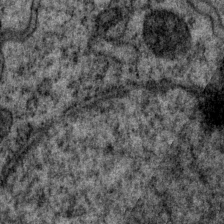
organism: P. pacificus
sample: Pharynx